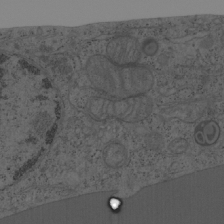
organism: Human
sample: HeLa cells